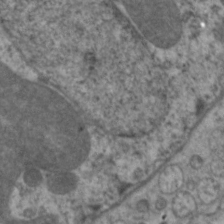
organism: C. elegans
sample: Pharynx